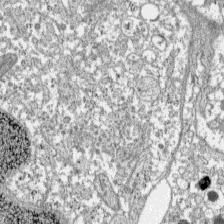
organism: C57BL Mouse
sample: Pancreatic islet